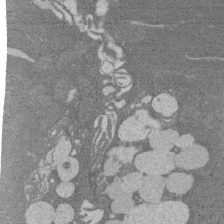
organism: Rat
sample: Salivary granule